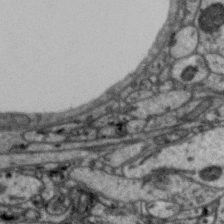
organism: Zebra finch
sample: Brain